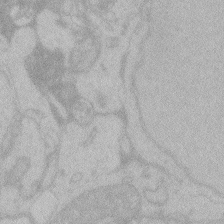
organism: Zebrafish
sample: Macrophage infected with Toxoplasma gondii